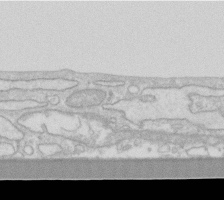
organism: Human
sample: Fibroblast cells